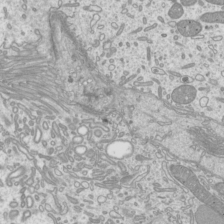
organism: Mouse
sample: Cilia; mouse epididymis